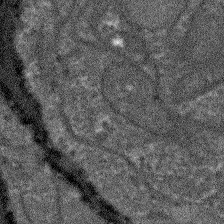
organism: Arabidopsis thaliana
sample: Root tip